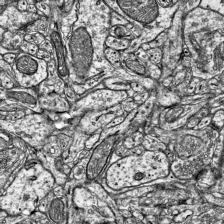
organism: Mouse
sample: Visual Cortex